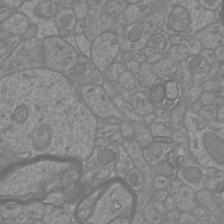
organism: Mouse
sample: Cortical neurons